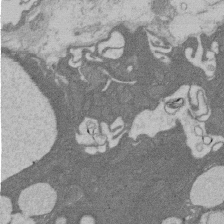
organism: Rat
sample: Salivary granule